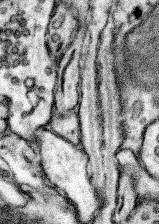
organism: Mouse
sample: Somatosensory cortex neuropil